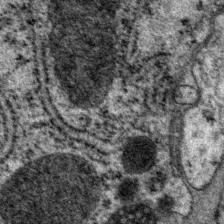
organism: P. pacificus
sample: Pharynx